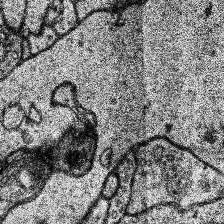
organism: Human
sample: Temporal Lobe